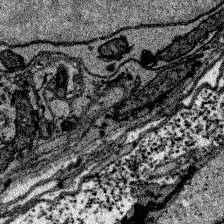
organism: Zebrafish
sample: Larval olfactory bulb